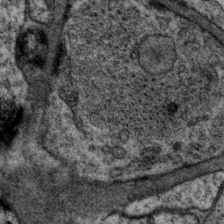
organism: P. pacificus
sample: Pharynx